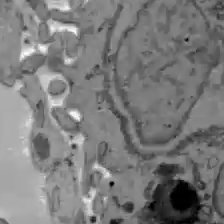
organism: C57BL Mouse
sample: Liver